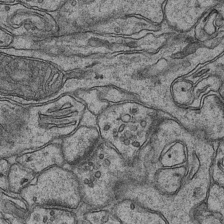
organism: Mouse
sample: CA1 Hippocampus